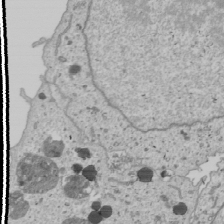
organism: Human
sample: Mitochondria in U2OS cells